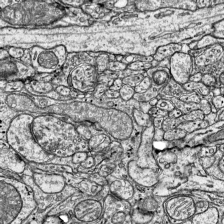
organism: Mouse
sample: Visual Cortex